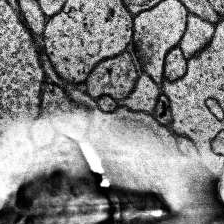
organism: Human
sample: Temporal Lobe